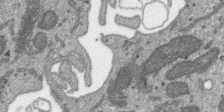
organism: Human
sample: Lung epithelial cells infected with SARS-CoV-2